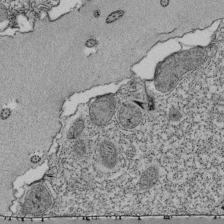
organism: Tetrahymena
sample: Cilia in tetrahymena